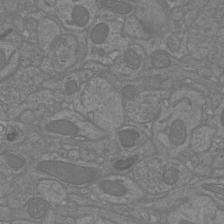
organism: Mouse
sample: Cortical neurons